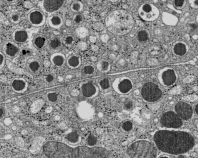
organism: C57BL Mouse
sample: Pancreatic islet